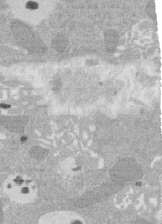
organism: Rat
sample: Salivary granule